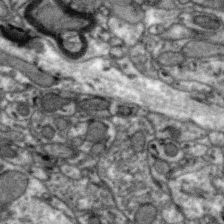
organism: Zebra finch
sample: Brain